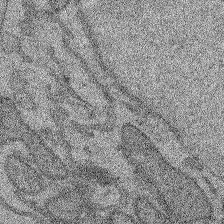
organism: Human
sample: HeLa cells